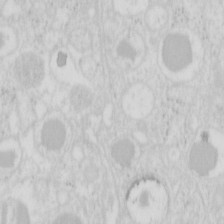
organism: Mouse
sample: Pancreas